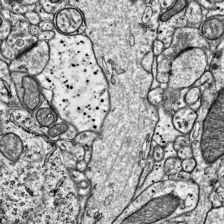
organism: Mouse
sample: Visual Cortex